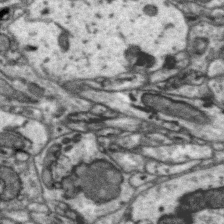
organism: Zebra finch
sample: Brain